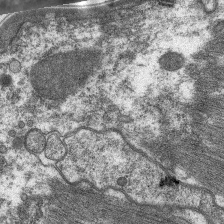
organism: C. elegans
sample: Pharynx